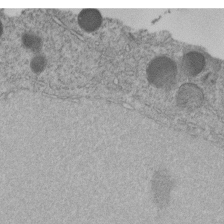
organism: C. elegans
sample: C. elegans embryo early stage